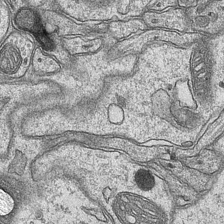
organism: Mouse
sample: CA1 Hippocampus